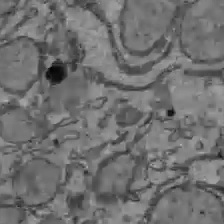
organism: C57BL Mouse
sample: Liver